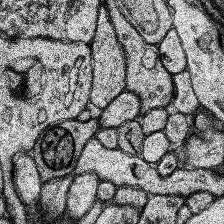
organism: Human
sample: Temporal Lobe